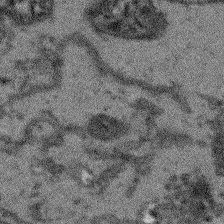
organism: Arabidopsis thaliana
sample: Root tip